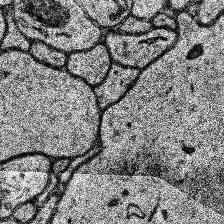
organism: Human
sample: Temporal Lobe